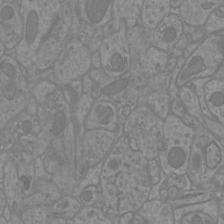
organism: Mouse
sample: Cortical neurons